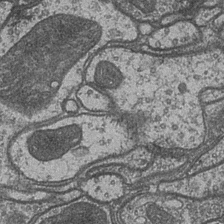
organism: Drosophila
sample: Optic medulla